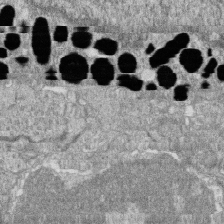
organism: Zebrafish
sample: Cilia; retinal pigment epithelium